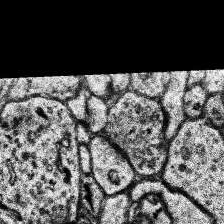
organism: Human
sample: Temporal Lobe